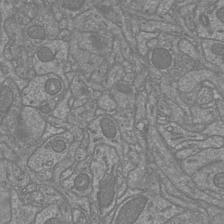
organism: Mouse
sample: Cortical neurons